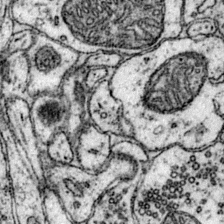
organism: Mouse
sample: Primary visual cortex